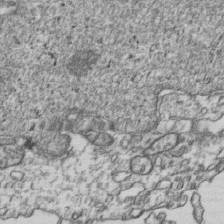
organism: Human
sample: Activated Jurkat CD4+ T cells